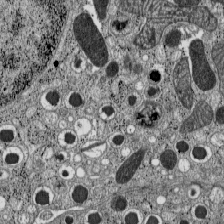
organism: C57BL Mouse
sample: Pancreatic islet